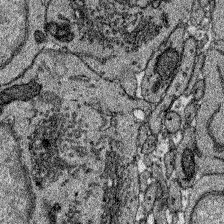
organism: Zebrafish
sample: Larval olfactory bulb